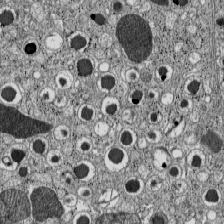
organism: C57BL Mouse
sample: Pancreatic islet